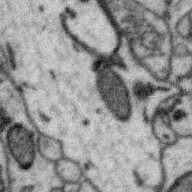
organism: Zebra finch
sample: Brain